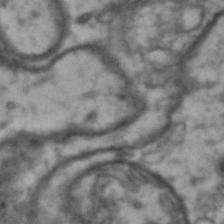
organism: Drosophila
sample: Brain